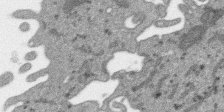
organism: Human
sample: Lung epithelial cells infected with SARS-CoV-2